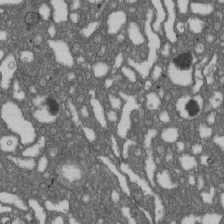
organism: Drosophila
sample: Nephrocyte